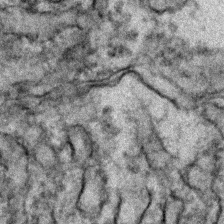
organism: Zebrafish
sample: Zebrafish embryo